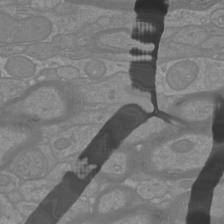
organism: Mouse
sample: Cortical neurons